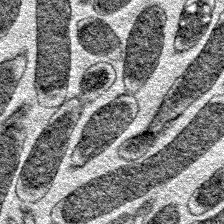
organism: E. coli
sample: E. Coli Bacteria